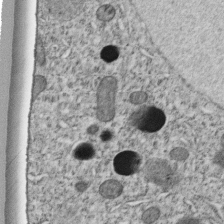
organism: C. elegans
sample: C. elegans embryo early stage